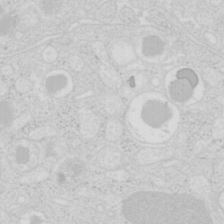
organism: Mouse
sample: Pancreas